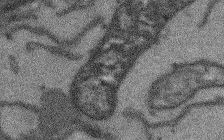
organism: Arabidopsis thaliana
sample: Root tip